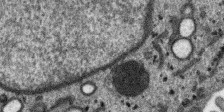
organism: Human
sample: Lung epithelial cells infected with SARS-CoV-2